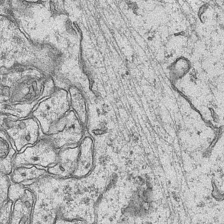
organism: Mouse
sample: CA1 Hippocampus